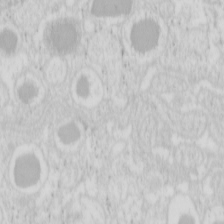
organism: Mouse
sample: Pancreas